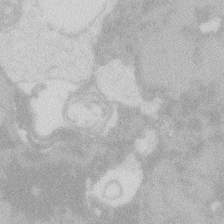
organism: Zebrafish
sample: Macrophage